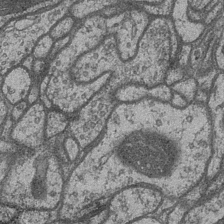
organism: Drosophila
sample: Optic medulla